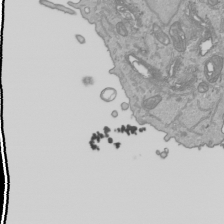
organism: Human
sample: Mitochondria in HCT116 cells